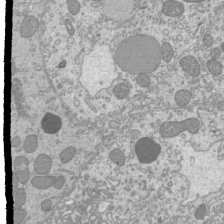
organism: Mouse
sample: Cilia; mouse epididymis